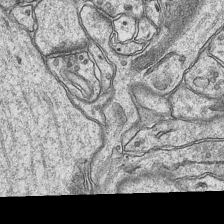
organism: Mouse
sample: CA1 Hippocampus